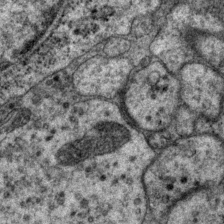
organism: P. pacificus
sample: Pharynx